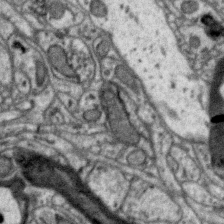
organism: Zebra finch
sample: Brain